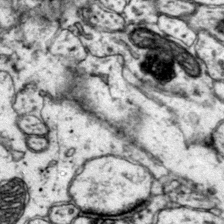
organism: Mouse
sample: Primary visual cortex